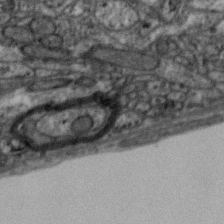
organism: Zebra finch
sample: Brain